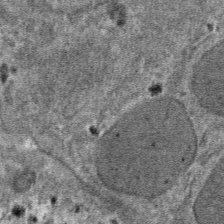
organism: Mouse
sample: Mouse hepatocytes